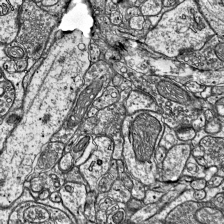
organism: Mouse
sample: Visual Cortex